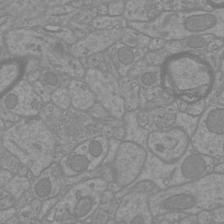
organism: Mouse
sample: Cortical neurons